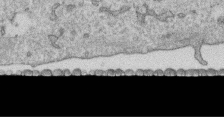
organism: Human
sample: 1205lu cells